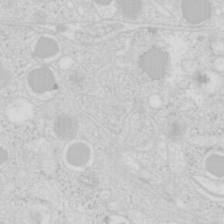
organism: Mouse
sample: Pancreas